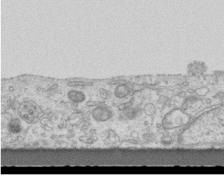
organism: Mouse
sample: Centriole in ependymal cells